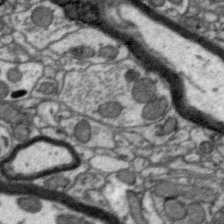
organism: Zebra finch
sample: Brain